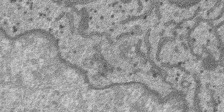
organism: Human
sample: Lung epithelial cells infected with SARS-CoV-2